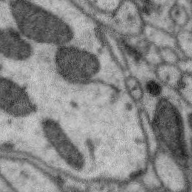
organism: Zebra finch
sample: Brain